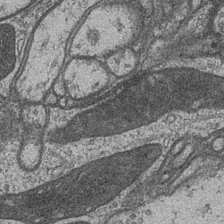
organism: Drosophila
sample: Optic medulla